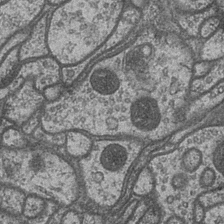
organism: Drosophila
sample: Optic medulla